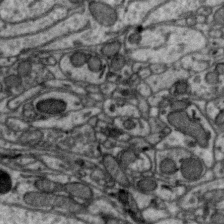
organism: Zebra finch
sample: Brain